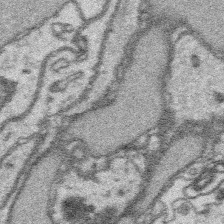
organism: Platynereis dumerilii